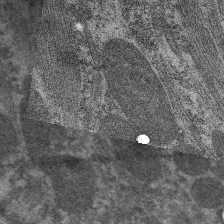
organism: C. elegans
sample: Pharynx